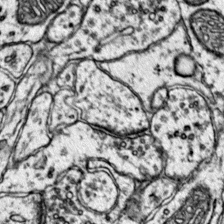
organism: Mouse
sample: Primary visual cortex